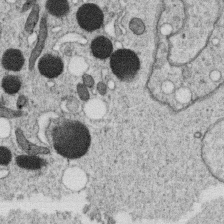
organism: C. elegans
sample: C. elegans oocyte; sperm cells